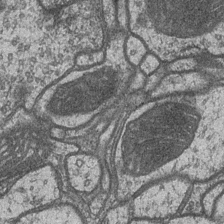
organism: Drosophila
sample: Optic medulla